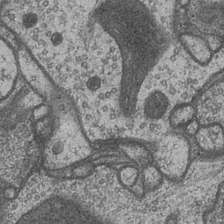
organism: Drosophila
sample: Optic medulla